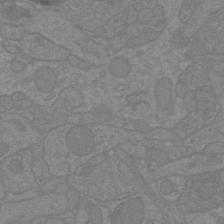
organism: Mouse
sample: Cortical neurons